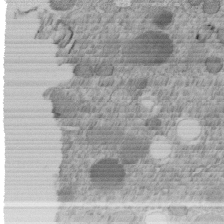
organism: C. elegans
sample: C. elegans embryo early stage